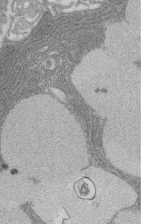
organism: Rat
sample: Salivary granule